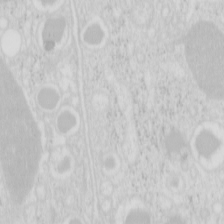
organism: Mouse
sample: Pancreas